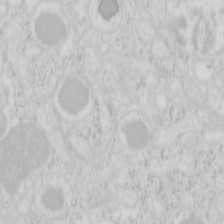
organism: Mouse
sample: Pancreas